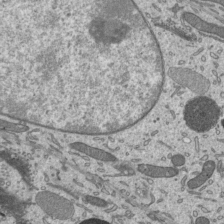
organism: Mouse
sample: Mouse epididymis efferent ductule cilia